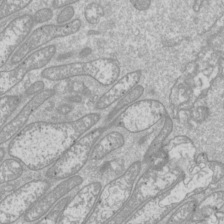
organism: Drosophila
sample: Cell division; meiosis; drosophila spermatocytes